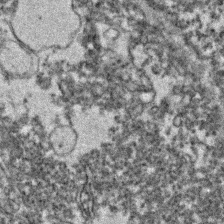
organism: Zebrafish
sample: Zebrafish embryo